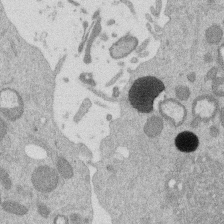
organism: Mouse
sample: Dividing mouse embryo 1 cell stage